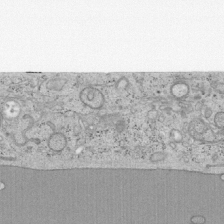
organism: Human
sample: HeLa cells